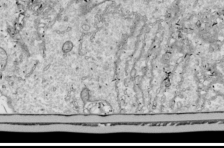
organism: Drosophila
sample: Cell division; meiosis; drosophila spermatocytes